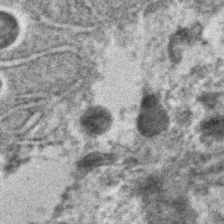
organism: C. elegans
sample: C. elegans embryo